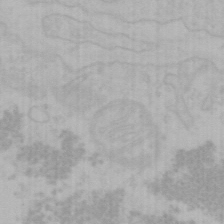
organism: Mouse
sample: Choroid plexus